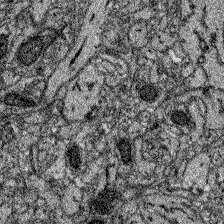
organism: Zebrafish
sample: Larval olfactory bulb